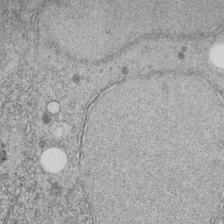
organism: C. elegans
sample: C. elegans embryo early stage